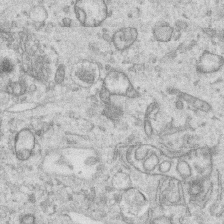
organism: Human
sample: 1205lu cells